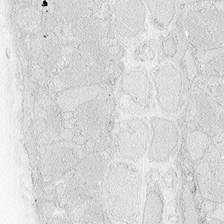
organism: Zebrafish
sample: Whole-Brain